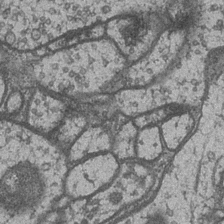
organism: Drosophila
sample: Optic medulla